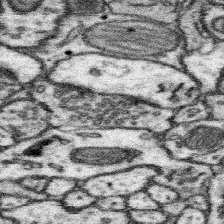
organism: Mouse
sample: Somatosensory cortex neuropil